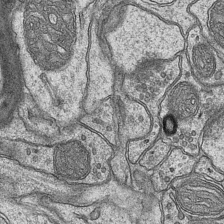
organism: Mouse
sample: CA1 Hippocampus